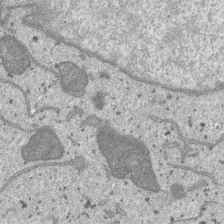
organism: Human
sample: Lung epithelial cells infected with SARS-CoV-2